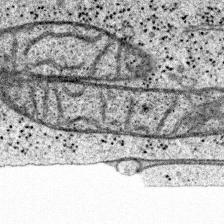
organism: Human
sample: HeLa cells